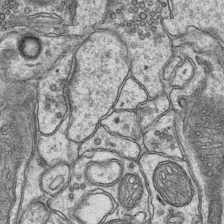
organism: Mouse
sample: CA1 Hippocampus